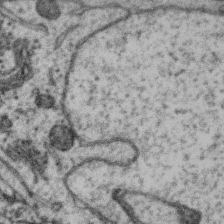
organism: Zebra finch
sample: Brain